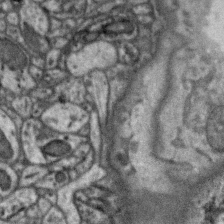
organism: Zebra finch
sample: Brain